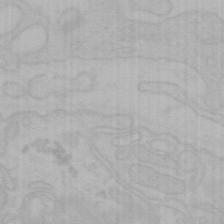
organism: Mouse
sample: Choroid plexus